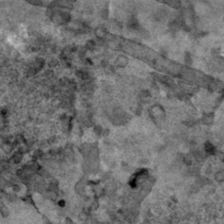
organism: Human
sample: Mitochondria in HCT116 cells